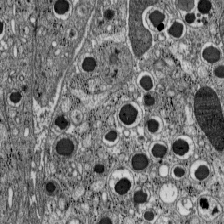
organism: C57BL Mouse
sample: Pancreatic islet